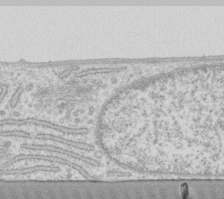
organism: Human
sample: Fibroblast cells